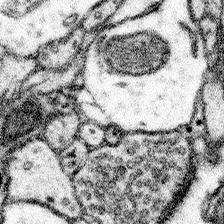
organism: Mouse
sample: Somatosensory cortex neuropil